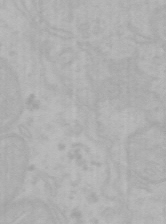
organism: Mouse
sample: Choroid plexus